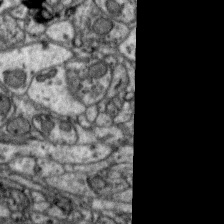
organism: Zebra finch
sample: Brain